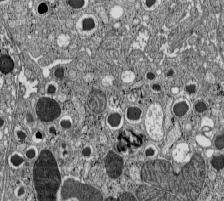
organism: C57BL Mouse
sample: Pancreatic islet